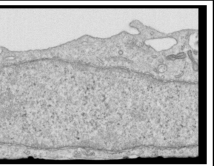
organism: Human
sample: Centriole in RPE cells